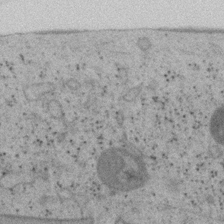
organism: Human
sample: HeLa cells